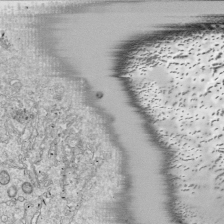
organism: Drosophila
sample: Cell division; meiosis; drosophila spermatocytes